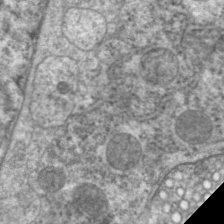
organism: C. elegans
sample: Pharynx